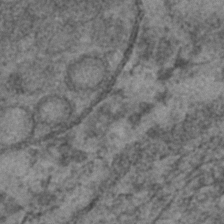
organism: C. elegans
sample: C. elegans embryo